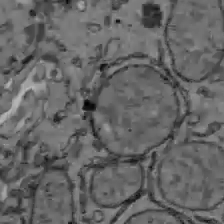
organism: C57BL Mouse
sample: Liver